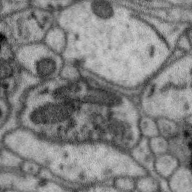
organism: Zebra finch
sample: Brain